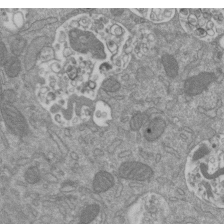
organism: Mouse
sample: ED-1 cell nuclei; centrioles